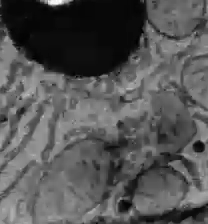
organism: C57BL Mouse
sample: Liver